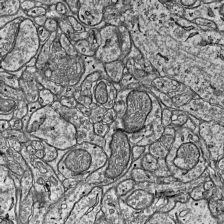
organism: Mouse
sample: Visual Cortex